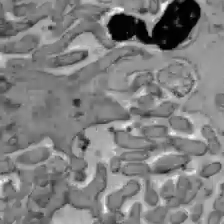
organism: C57BL Mouse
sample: Liver